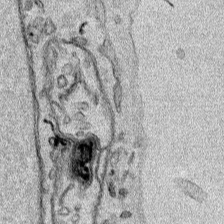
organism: Human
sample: Mitochondria in HCT116 cells